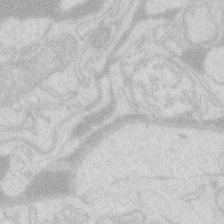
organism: Zebrafish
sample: Macrophage